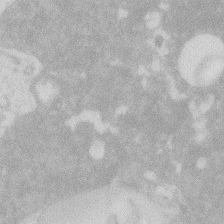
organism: Zebrafish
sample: Macrophage